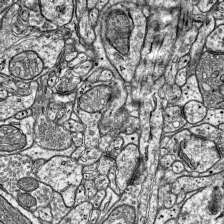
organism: Mouse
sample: Visual Cortex